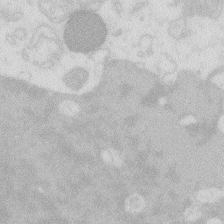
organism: Zebrafish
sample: Macrophage